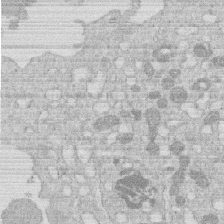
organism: Human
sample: Macrophage cells